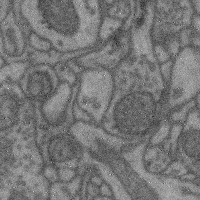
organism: Mouse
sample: Cerebral cortex